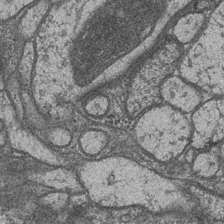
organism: Drosophila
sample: Optic medulla